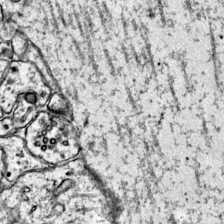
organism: Mouse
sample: Primary visual cortex